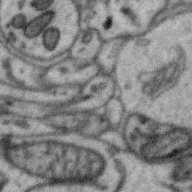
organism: Zebra finch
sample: Brain